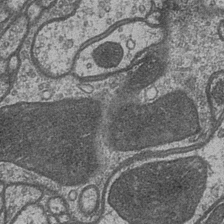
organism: Drosophila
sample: Optic medulla